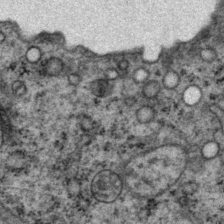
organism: P. pacificus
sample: Pharynx